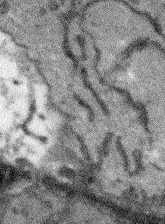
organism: Arabidopsis thaliana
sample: Root tip